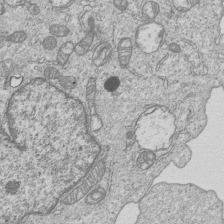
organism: Human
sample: MDA-MB-231 cells